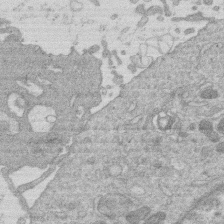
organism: Human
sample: Macrophage cells